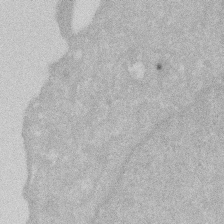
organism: Human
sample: HIV infected U937 cells